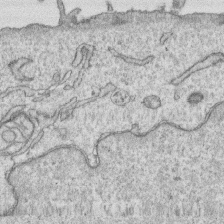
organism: Human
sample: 1205lu cells